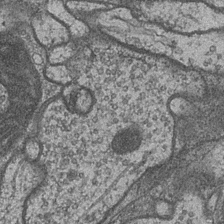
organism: Drosophila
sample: Optic medulla